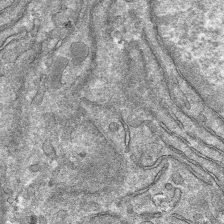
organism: Mouse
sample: Mouse hepatocytes